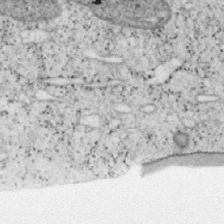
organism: Mouse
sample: OT-I killer T cells with ID8 ovarian cancer cells